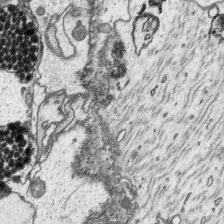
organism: Platynereis dumerilii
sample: Parapodia